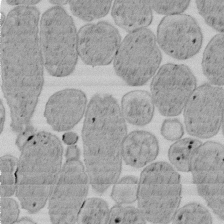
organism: E. coli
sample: Bacterial nucleoid